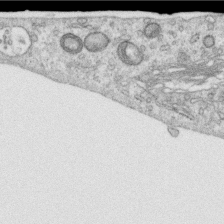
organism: Human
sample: Centriole in RPE cells